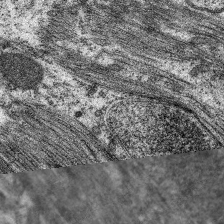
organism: C. elegans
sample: Pharynx